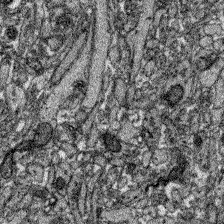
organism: Zebrafish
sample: Larval olfactory bulb